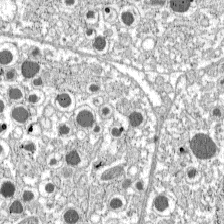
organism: C57BL Mouse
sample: Pancreatic islet